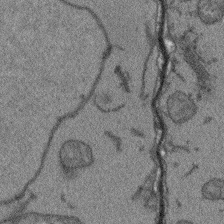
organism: Arabidopsis thaliana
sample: Root tip